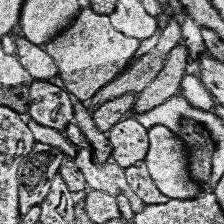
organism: Human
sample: Temporal Lobe